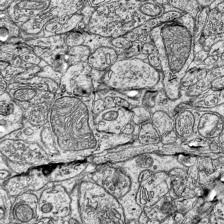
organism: Mouse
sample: Visual Cortex